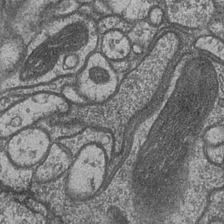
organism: Drosophila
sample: Optic medulla